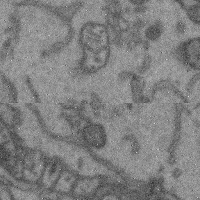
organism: Mouse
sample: Cerebral cortex